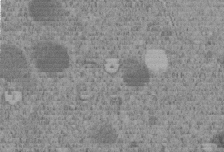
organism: C. elegans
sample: C. elegans embryo early stage